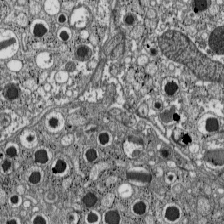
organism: C57BL Mouse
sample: Pancreatic islet